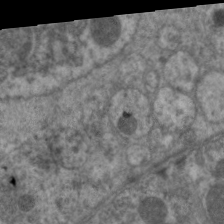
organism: C. elegans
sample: Pharynx